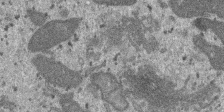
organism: Human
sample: Lung epithelial cells infected with SARS-CoV-2